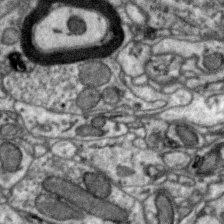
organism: Zebra finch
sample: Brain